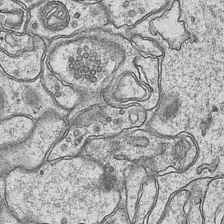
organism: Mouse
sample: CA1 Hippocampus